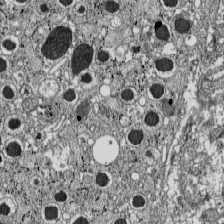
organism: C57BL Mouse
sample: Pancreatic islet